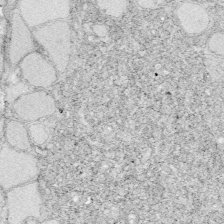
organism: Zebrafish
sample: Whole-Brain